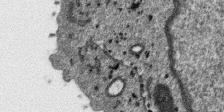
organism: Human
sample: Lung epithelial cells infected with SARS-CoV-2